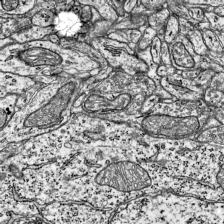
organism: Mouse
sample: Visual Cortex